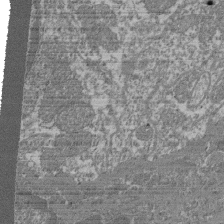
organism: Mouse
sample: Glomerulus